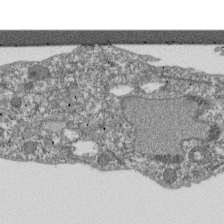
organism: Dictyostelium discoideum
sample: Dictyostelium multivesicular bodies